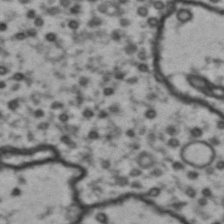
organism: Drosophila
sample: Brain